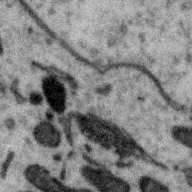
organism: Zebra finch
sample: Brain